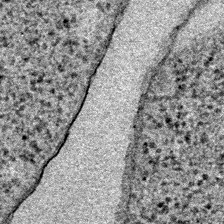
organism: E. coli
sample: E. Coli Bacteria